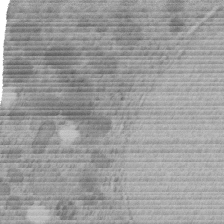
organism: C. elegans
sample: C. elegans embryo early stage